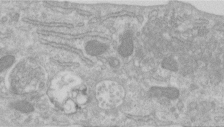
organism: Human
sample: Centriole in RPE cells